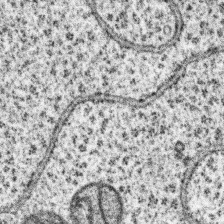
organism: Human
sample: HeLa cells